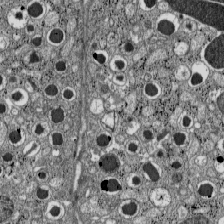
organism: C57BL Mouse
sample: Pancreatic islet